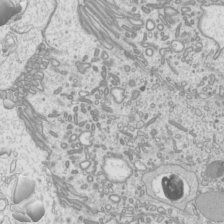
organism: Mouse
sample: Cilia; mouse epididymis